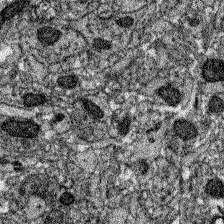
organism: Zebrafish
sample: Larval olfactory bulb